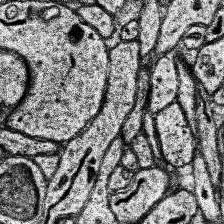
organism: Human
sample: Temporal Lobe